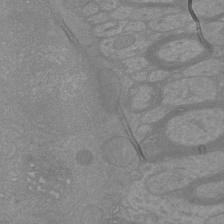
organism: Mouse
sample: Cortical neurons